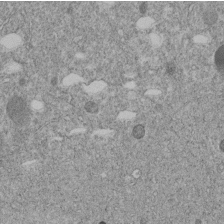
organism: C. elegans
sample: C. elegans embryo early stage